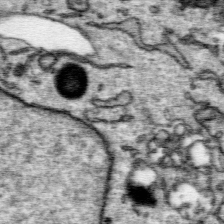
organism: Human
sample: HeLa cells